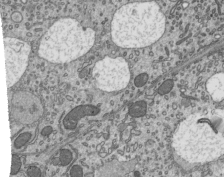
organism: Mouse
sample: Mouse epididymis efferent ductule cilia